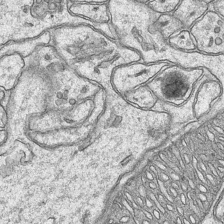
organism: Mouse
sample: CA1 Hippocampus